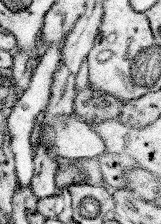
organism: Mouse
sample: Somatosensory cortex neuropil